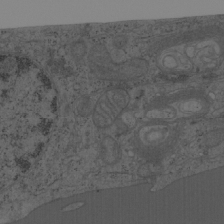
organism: Human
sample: HeLa cells